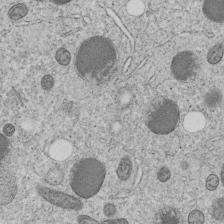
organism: C. elegans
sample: C. elegans embryo early stage